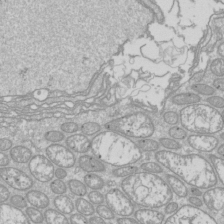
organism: Drosophila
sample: Cell division; meiosis; drosophila spermatocytes